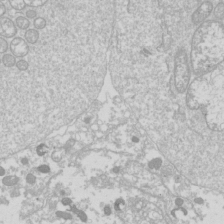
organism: Drosophila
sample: Cell division; meiosis; drosophila spermatocytes